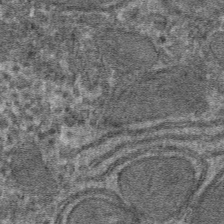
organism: Mouse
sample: Mouse hepatocytes